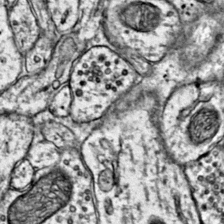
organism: Mouse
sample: Primary visual cortex